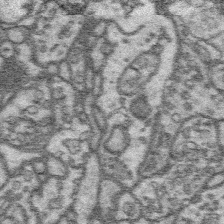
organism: Platynereis dumerilii